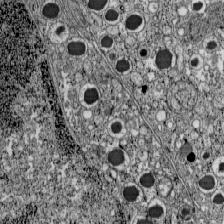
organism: C57BL Mouse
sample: Pancreatic islet